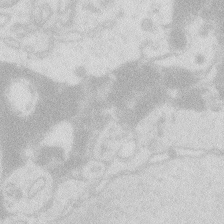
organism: Zebrafish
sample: Macrophage